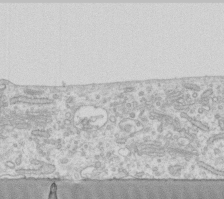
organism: Human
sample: Fibroblast cells